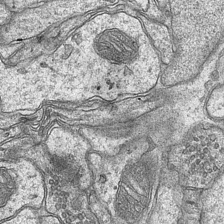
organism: Mouse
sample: CA1 Hippocampus